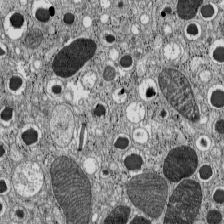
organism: C57BL Mouse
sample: Pancreatic islet